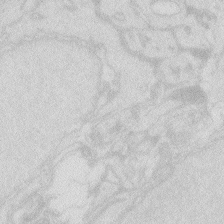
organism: Zebrafish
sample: Macrophage